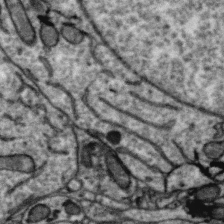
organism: Zebra finch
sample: Brain